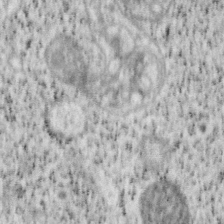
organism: Mouse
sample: OT-I killer T cells with ID8 ovarian cancer cells